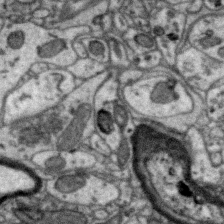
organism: Zebra finch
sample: Brain